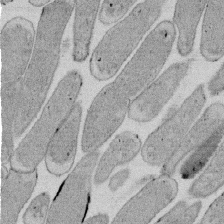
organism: E. coli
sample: Bacterial nucleoid